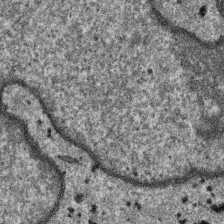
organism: Human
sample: Lung epithelial cells infected with SARS-CoV-2